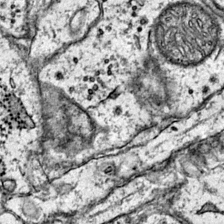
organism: Mouse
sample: Primary visual cortex